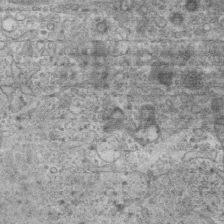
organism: Mouse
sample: Centriole in ependymal cells